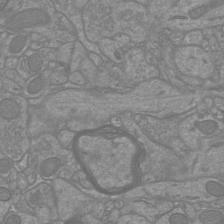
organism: Mouse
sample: Cortical neurons